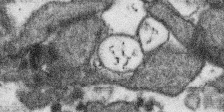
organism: Human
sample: Lung epithelial cells infected with SARS-CoV-2